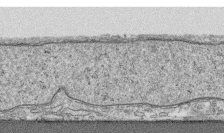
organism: Human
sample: CRL-1474